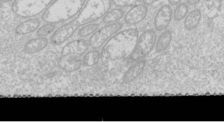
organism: Drosophila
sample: Cell division; meiosis; drosophila spermatocytes